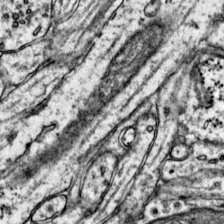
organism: Mouse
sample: Primary visual cortex